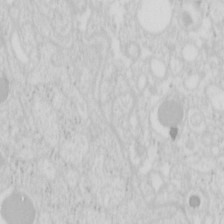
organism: Mouse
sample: Pancreas